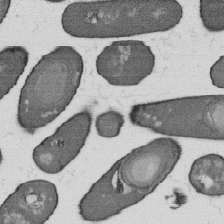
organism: B. subtilis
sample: Bacterial spore